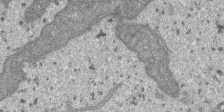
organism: Human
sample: Lung epithelial cells infected with SARS-CoV-2